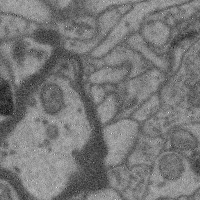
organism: Mouse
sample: Cerebral cortex